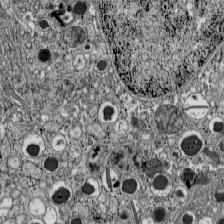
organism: C57BL Mouse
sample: Pancreatic islet